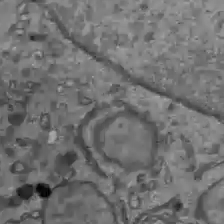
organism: C57BL Mouse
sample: Liver